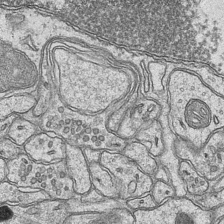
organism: Mouse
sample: CA1 Hippocampus